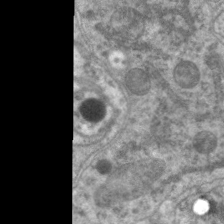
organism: C. elegans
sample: Pharynx